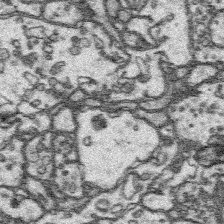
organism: Platynereis dumerilii